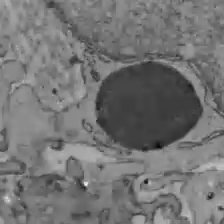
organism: C57BL Mouse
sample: Liver